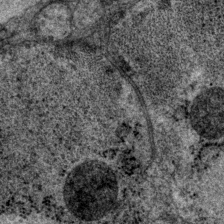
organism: P. pacificus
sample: Pharynx